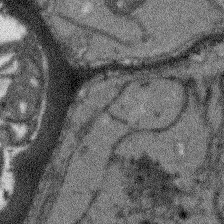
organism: Arabidopsis thaliana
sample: Root tip